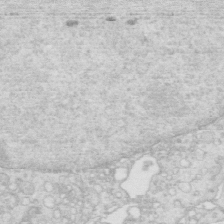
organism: Mouse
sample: Multiciliated cells